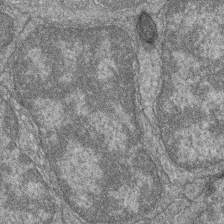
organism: Zebrafish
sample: Cilia; retinal pigment epithelium